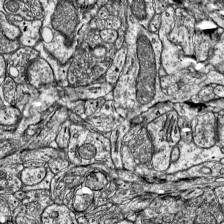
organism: Mouse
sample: Visual Cortex